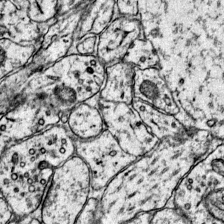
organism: Mouse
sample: Primary visual cortex